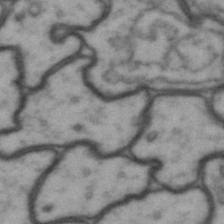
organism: Drosophila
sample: Brain